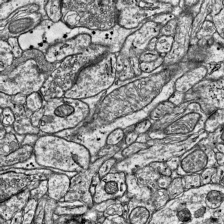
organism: Mouse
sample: Visual Cortex